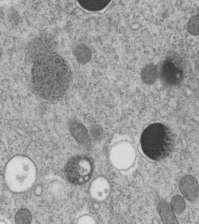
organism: C. elegans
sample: C. elegans embryo early stage